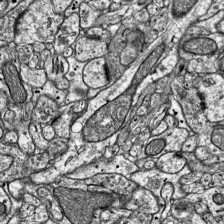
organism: Mouse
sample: Visual Cortex